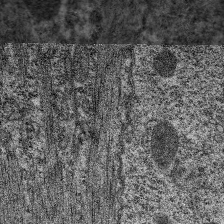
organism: C. elegans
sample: Pharynx